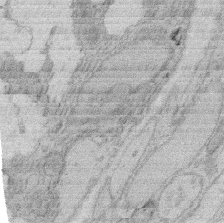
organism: Rat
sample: Salivary granule